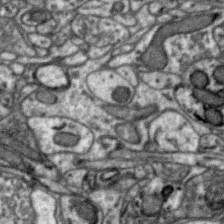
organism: Zebra finch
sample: Brain